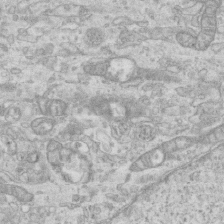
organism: Mouse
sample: Centriole in ependymal cells